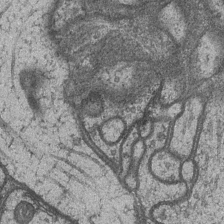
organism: Drosophila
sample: Optic medulla